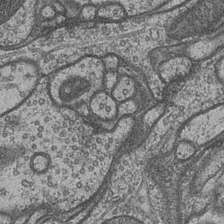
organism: Drosophila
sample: Optic medulla